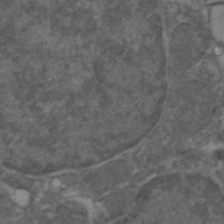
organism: Zebrafish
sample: Zebrafish embryo